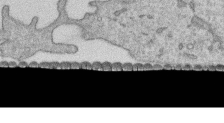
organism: Human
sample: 1205lu cells